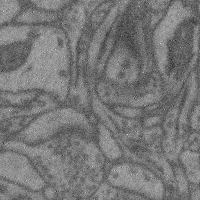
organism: Mouse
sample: Cerebral cortex